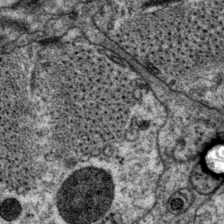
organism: P. pacificus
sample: Pharynx